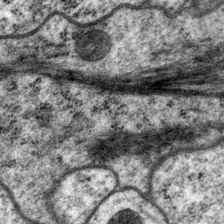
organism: P. pacificus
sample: Pharynx